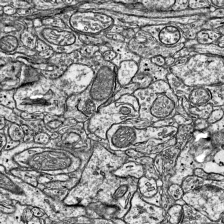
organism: Mouse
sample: Visual Cortex